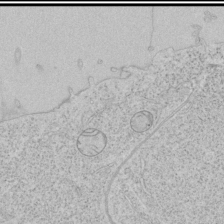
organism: Human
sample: Mitochondria in HCT116 cells